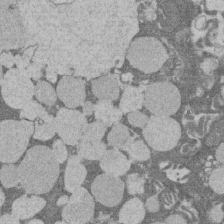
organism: Rat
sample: Salivary granule